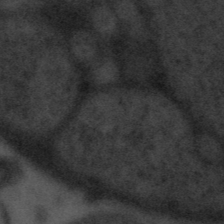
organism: Tuwongella immobilis